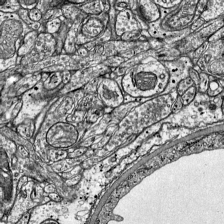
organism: Mouse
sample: Visual Cortex